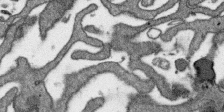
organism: Human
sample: Lung epithelial cells, uninfected (mock) control